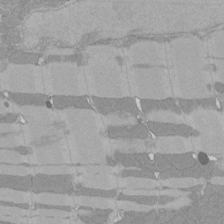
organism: Rat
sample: Left ventricle